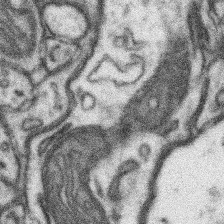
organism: Mouse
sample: Somatosensory cortex neuropil